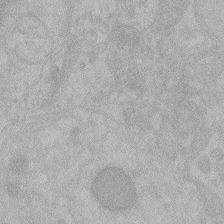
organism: Zebrafish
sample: Macrophage infected with Toxoplasma gondii